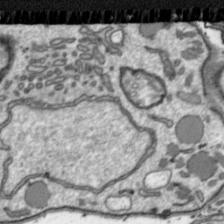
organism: Toxoplasma gondii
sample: Parasites in a vacuole inside a host cell